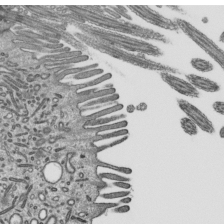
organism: Mouse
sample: Mouse epididymis efferent ductule cilia